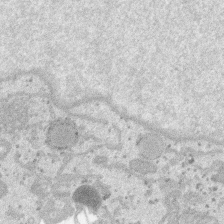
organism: Human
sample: Lung epithelial cells infected with SARS-CoV-2